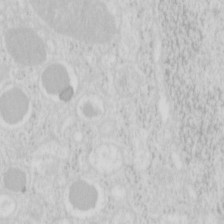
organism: Mouse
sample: Pancreas